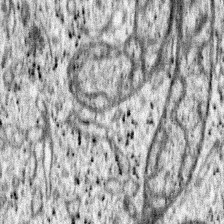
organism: Human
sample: HeLa cells